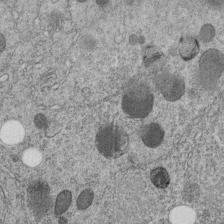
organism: C. elegans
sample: C. elegans embryo early stage